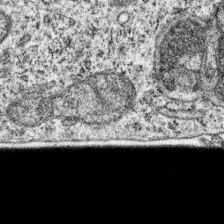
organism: Human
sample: HeLa cells